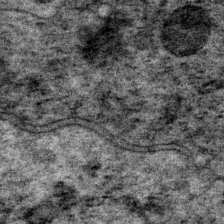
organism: P. pacificus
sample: Pharynx